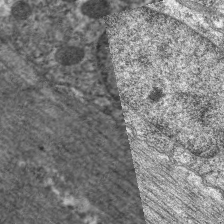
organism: C. elegans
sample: Pharynx